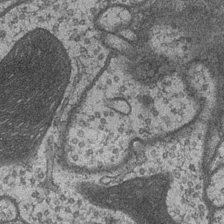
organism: Drosophila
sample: Optic medulla